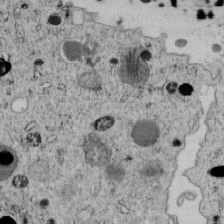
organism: C. elegans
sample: C. elegans embryo early stage